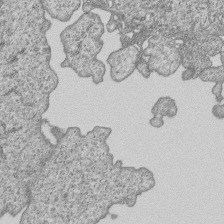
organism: Human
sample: MDA-MB-231 cells